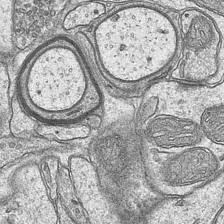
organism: Mouse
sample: CA1 Hippocampus